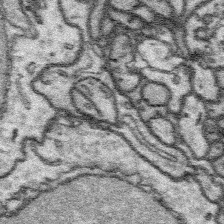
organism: Platynereis dumerilii